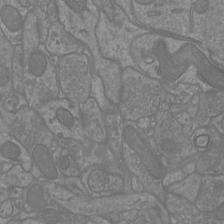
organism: Mouse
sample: Cortical neurons